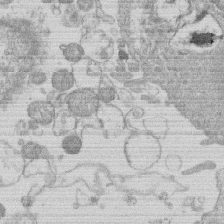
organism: Human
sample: Macrophage cells